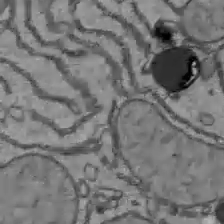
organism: C57BL Mouse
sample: Liver